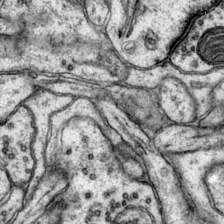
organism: Mouse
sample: Primary visual cortex